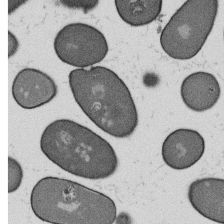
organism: B. subtilis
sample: Bacterial spore